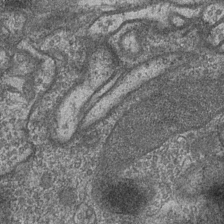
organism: Drosophila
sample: Optic medulla